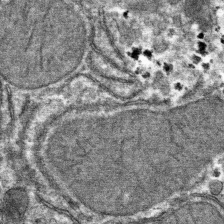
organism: Mouse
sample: Mouse hepatocytes